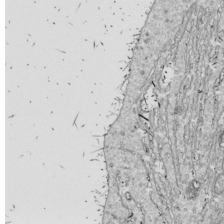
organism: Drosophila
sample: Cell division; meiosis; drosophila spermatocytes